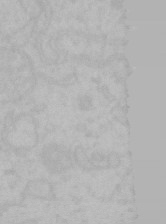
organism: Mouse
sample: Choroid plexus